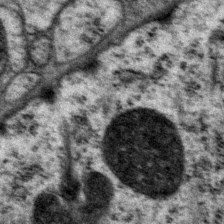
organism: P. pacificus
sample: Pharynx